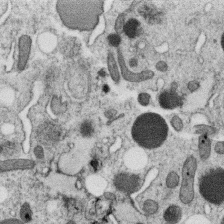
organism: C. elegans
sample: C. elegans oocyte; sperm cells